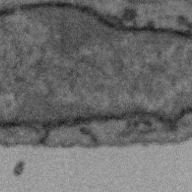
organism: Zebra finch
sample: Brain